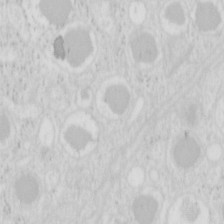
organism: Mouse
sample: Pancreas